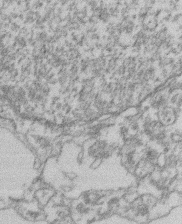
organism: Mouse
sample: T cell stromal cell synapse